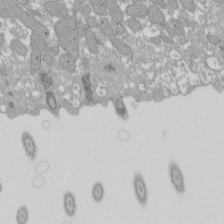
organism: Xenopus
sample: Cilia; centrioles in frog embryo cells